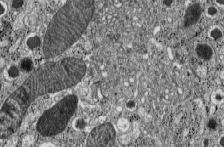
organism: C57BL Mouse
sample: Pancreatic islet